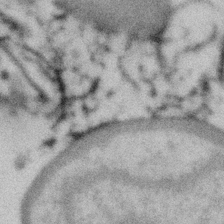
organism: Gemmata obscuriglobus